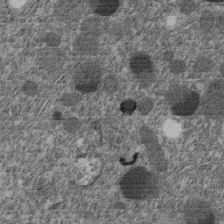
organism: C. elegans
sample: C. elegans embryo early stage